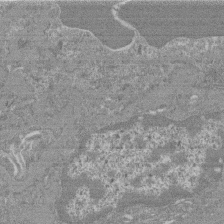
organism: Mouse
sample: Glomerulus